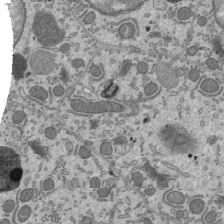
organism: Mouse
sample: Mouse epididymis efferent ductule cilia